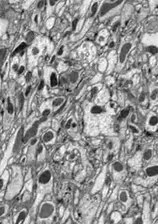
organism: Drosophila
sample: Optic lobe